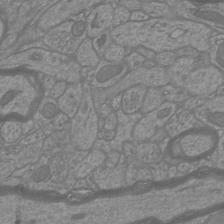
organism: Mouse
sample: Cortical neurons